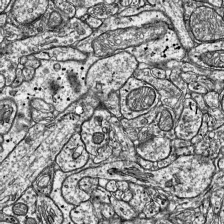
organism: Mouse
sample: Visual Cortex